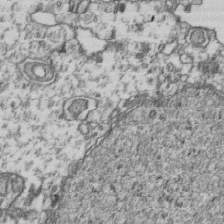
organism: Human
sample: Activated Jurkat CD4+ T cells